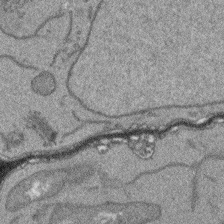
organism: Arabidopsis thaliana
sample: Root tip